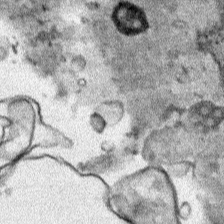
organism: Human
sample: Mitochondria in HCT116 cells